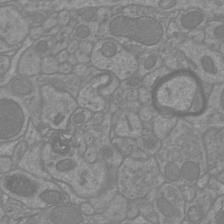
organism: Mouse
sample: Cortical neurons